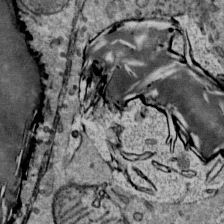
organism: Mouse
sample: Mouse Salivary gland